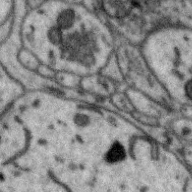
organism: Zebra finch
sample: Brain